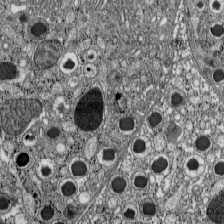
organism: C57BL Mouse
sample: Pancreatic islet